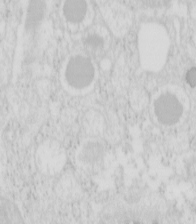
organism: Mouse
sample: Pancreas